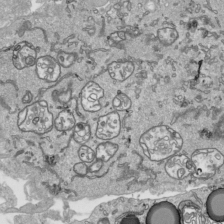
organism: Human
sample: Mitochondria in HCT116 cells